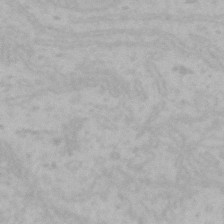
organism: Mouse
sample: Choroid plexus